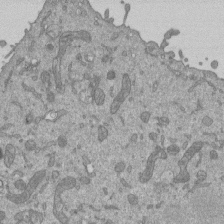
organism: Mouse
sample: ED-1 cell nuclei; centrioles